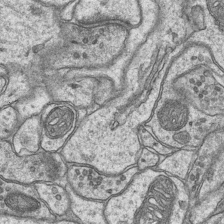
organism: Mouse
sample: CA1 Hippocampus